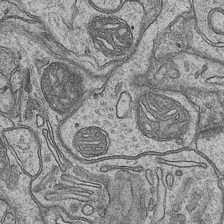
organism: Mouse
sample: CA1 Hippocampus